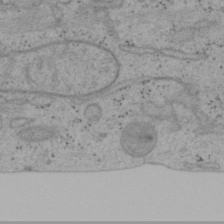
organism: Human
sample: HeLa cells